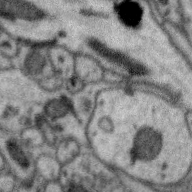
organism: Zebra finch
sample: Brain